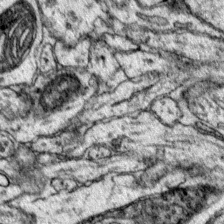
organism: Mouse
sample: Primary visual cortex